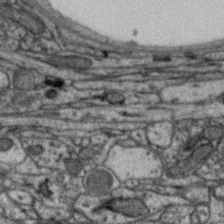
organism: Zebra finch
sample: Brain